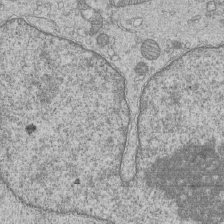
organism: Human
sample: MDA-MB-231 cells